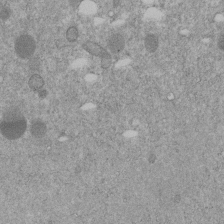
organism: C. elegans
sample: C. elegans embryo early stage